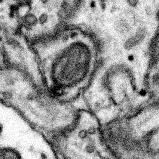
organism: Mouse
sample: Somatosensory cortex neuropil